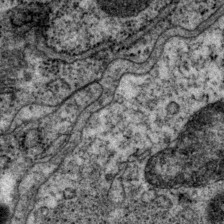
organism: P. pacificus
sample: Pharynx